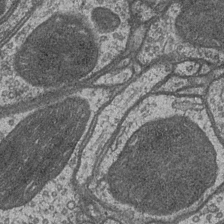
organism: Drosophila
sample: Optic medulla